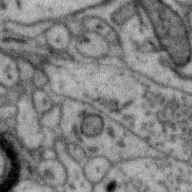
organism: Zebra finch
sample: Brain